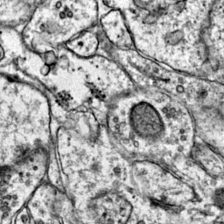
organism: Mouse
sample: Primary visual cortex